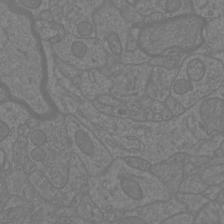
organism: Mouse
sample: Cortical neurons